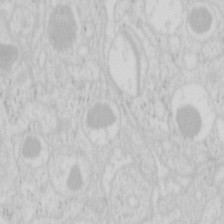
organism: Mouse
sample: Pancreas